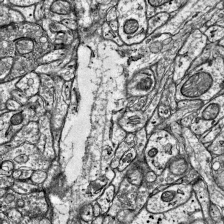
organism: Mouse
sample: Visual Cortex